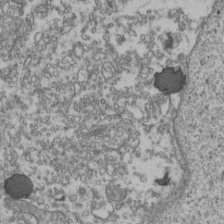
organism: Human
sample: Activated Jurkat CD4+ T cells